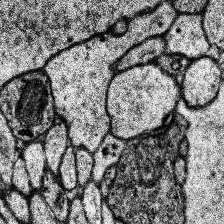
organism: Human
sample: Temporal Lobe